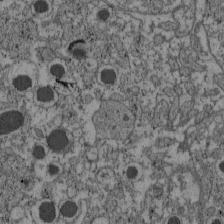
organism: C57BL Mouse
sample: Pancreatic islet